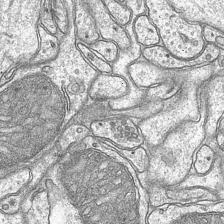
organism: Mouse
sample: CA1 Hippocampus